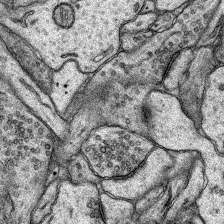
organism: Rat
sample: Hippocampus